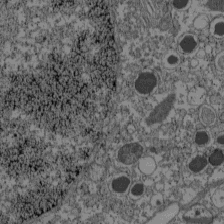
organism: C57BL Mouse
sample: Pancreatic islet